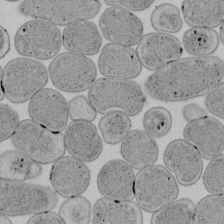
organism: E. coli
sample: Bacterial nucleoid